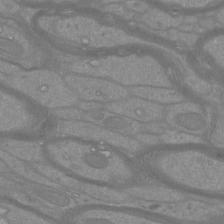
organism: Mouse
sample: Cortical neurons